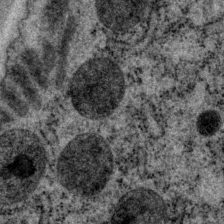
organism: P. pacificus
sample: Pharynx